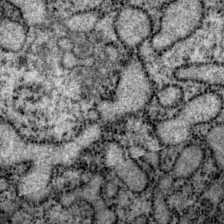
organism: P. pacificus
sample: Pharynx